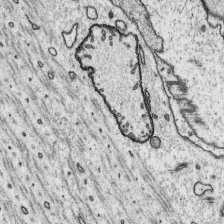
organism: Platynereis dumerilii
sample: Parapodia